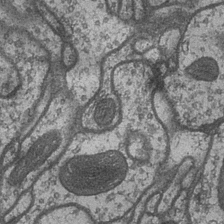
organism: Drosophila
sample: Optic medulla